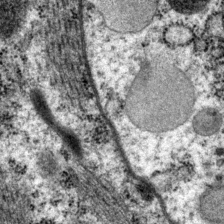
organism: P. pacificus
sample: Pharynx